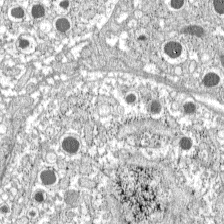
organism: C57BL Mouse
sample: Pancreatic islet